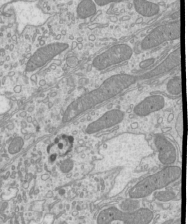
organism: Mouse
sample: Cilia; mouse epididymis